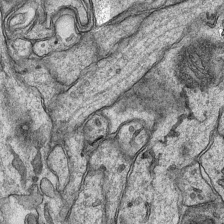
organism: Mouse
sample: CA1 Hippocampus